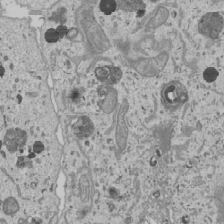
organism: Human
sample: Mitochondria in U2OS cells